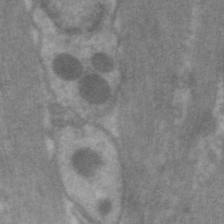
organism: C. elegans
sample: Pharynx